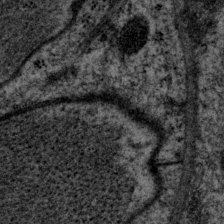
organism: P. pacificus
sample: Pharynx